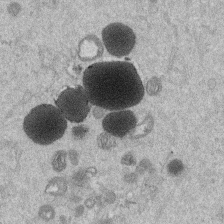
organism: Mouse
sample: Dividing mouse embryo 1 cell stage